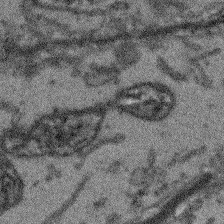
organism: Arabidopsis thaliana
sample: Root tip